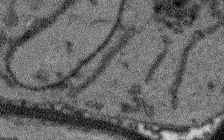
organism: Arabidopsis thaliana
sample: Root tip